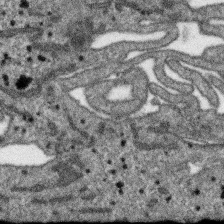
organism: Human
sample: Lung epithelial cells infected with SARS-CoV-2